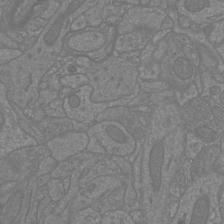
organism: Mouse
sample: Cortical neurons